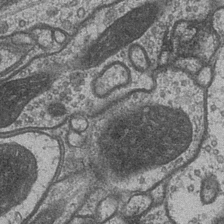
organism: Drosophila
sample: Optic medulla